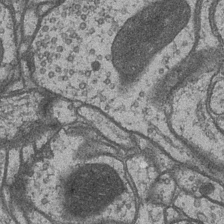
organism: Drosophila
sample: Optic medulla